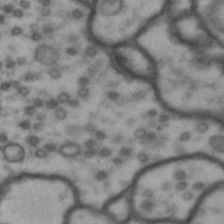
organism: Drosophila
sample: Brain